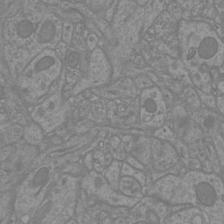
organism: Mouse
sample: Cortical neurons